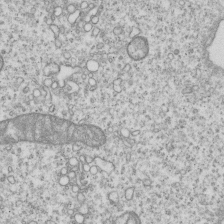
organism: Human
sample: MDA-MB-231 cells